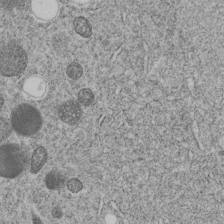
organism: C. elegans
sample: C. elegans embryo early stage